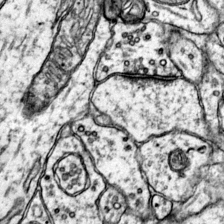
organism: Mouse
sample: Primary visual cortex